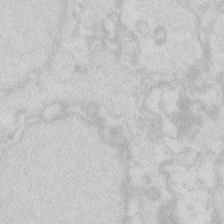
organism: Zebrafish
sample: Macrophage